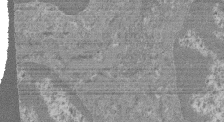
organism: Mouse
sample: Glomerulus